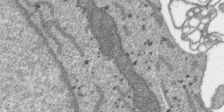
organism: Human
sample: Lung epithelial cells infected with SARS-CoV-2